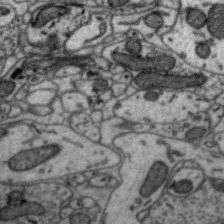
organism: Zebra finch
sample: Brain